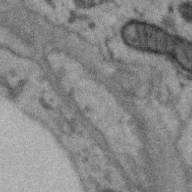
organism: Zebra finch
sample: Brain